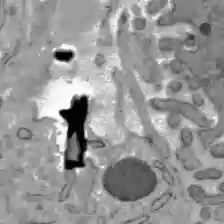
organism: C57BL Mouse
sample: Liver